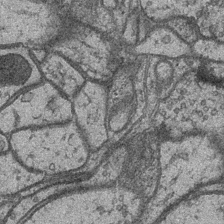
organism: Drosophila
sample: Optic medulla